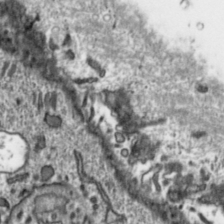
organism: Toxoplasma gondii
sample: Parasites in a vacuole inside a host cell